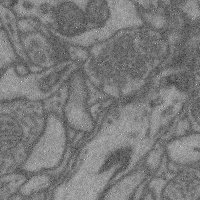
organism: Mouse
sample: Cerebral cortex